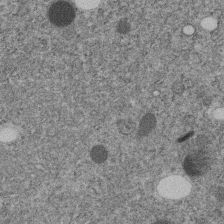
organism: C. elegans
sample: C. elegans embryo early stage